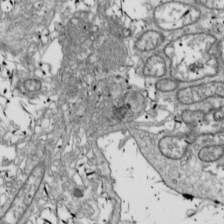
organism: Drosophila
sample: Cell division; meiosis; drosophila spermatocytes